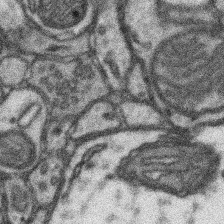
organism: Mouse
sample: Somatosensory cortex neuropil